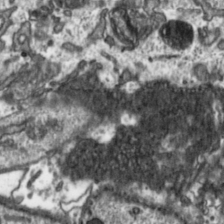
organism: Toxoplasma gondii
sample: Parasites in a vacuole inside a host cell